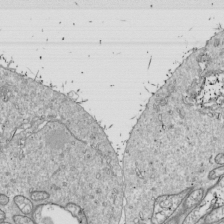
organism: Drosophila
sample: Cell division; meiosis; drosophila spermatocytes